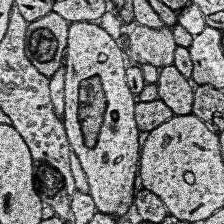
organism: Human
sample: Temporal Lobe